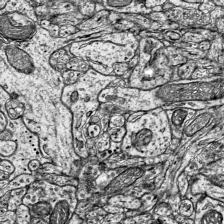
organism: Mouse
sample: Visual Cortex